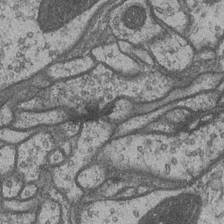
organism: Drosophila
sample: Optic medulla